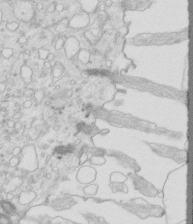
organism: Mouse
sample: Multiciliated cells